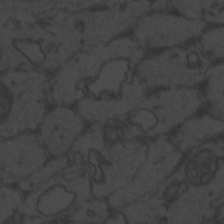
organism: Zebrafish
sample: Macrophage infected with Toxoplasma gondii